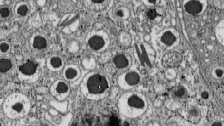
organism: C57BL Mouse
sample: Pancreatic islet